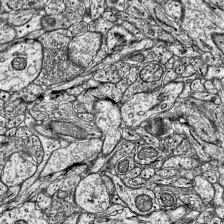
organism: Mouse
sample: Visual Cortex